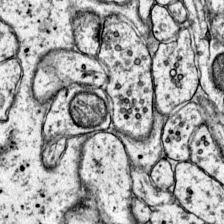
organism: Mouse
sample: Primary visual cortex